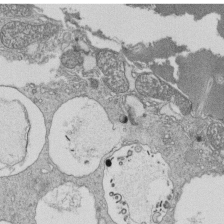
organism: Tetrahymena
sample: Cilia in tetrahymena